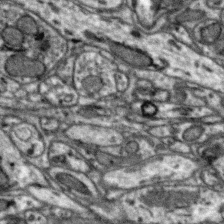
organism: Zebra finch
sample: Brain